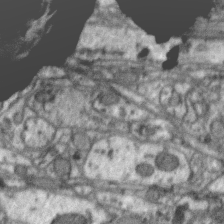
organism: Zebra finch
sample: Brain